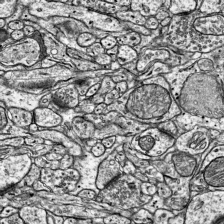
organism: Mouse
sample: Visual Cortex